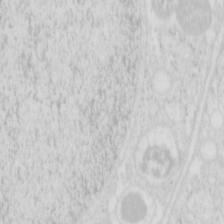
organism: Mouse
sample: Pancreas